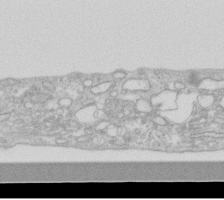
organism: Human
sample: Fibroblast cells